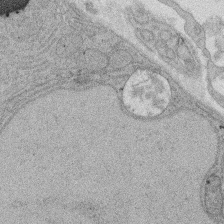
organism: Rat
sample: Salivary granule